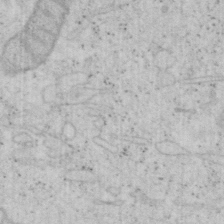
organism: Human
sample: HeLa cells